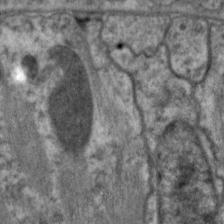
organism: C. elegans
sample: Pharynx